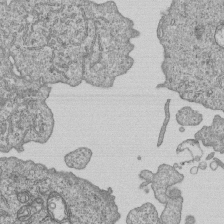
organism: Human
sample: MDA-MB-231 cells